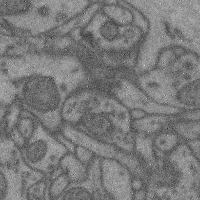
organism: Mouse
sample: Cerebral cortex